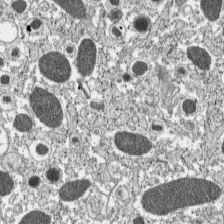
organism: C57BL Mouse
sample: Pancreatic islet